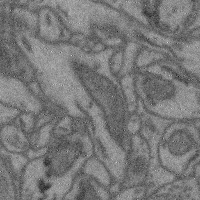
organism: Mouse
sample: Cerebral cortex